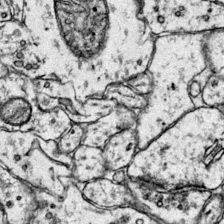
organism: Mouse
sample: Primary visual cortex